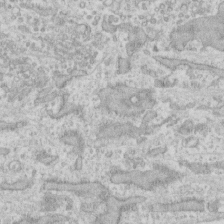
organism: Human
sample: Fibroblast cells